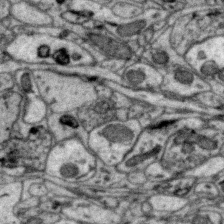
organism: Zebra finch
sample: Brain